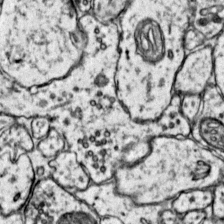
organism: Mouse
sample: Primary visual cortex